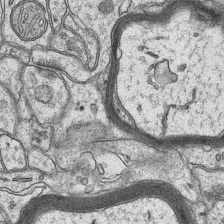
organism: Mouse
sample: CA1 Hippocampus